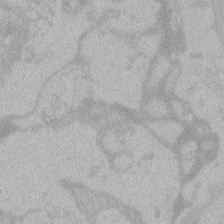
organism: Zebrafish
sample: Macrophage infected with Toxoplasma gondii